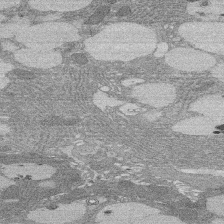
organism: Rat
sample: Salivary granule